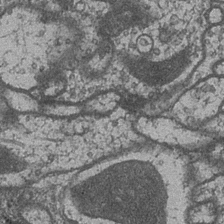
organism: Drosophila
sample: Optic medulla